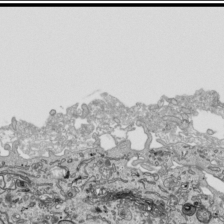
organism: Human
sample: Mitochondria in HCT116 cells